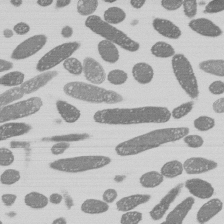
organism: E. coli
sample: Bacterial nucleoid